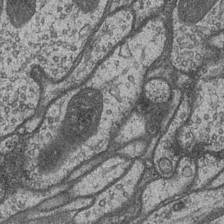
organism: Drosophila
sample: Optic medulla